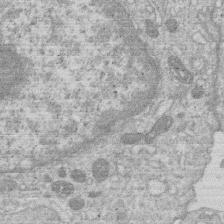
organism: Human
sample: Macrophage cells